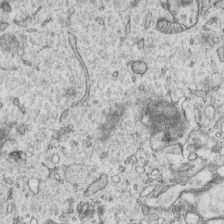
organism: Human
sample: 1205lu cells